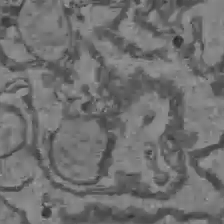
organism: C57BL Mouse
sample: Liver